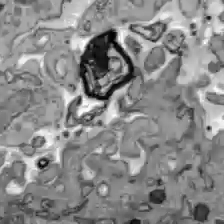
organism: C57BL Mouse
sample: Liver